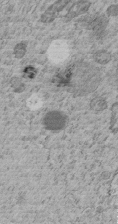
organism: C. elegans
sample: C. elegans embryo early stage